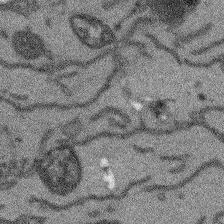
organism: Arabidopsis thaliana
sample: Root tip